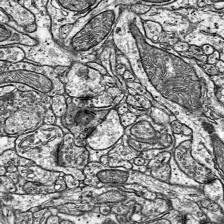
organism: Mouse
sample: Visual Cortex